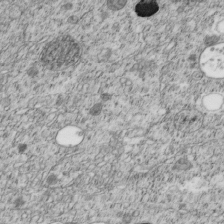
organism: C. elegans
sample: C. elegans embryo early stage